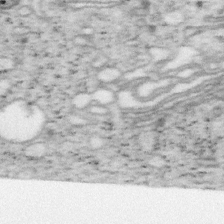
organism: Mouse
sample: OT-I killer T cells with ID8 ovarian cancer cells